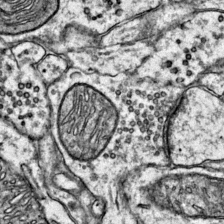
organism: Mouse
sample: Primary visual cortex